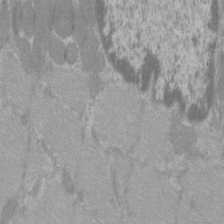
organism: C57BL Mouse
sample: Tibialis anterior muscle cell